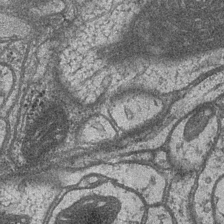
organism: Drosophila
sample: Optic medulla